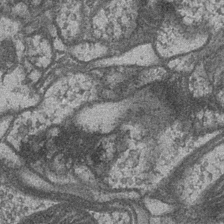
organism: Drosophila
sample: Optic medulla